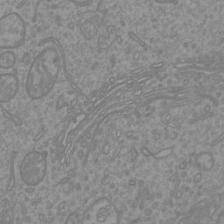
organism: Mouse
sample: Cortical neurons